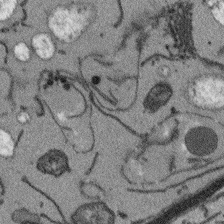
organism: Arabidopsis thaliana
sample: Root tip